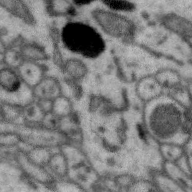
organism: Zebra finch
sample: Brain